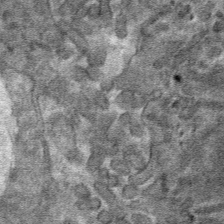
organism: Mouse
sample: Mouse hepatocytes